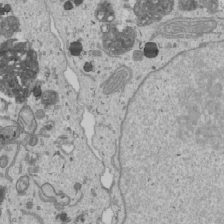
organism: Human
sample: Mitochondria in U2OS cells